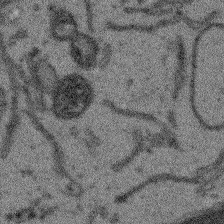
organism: Arabidopsis thaliana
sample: Root tip